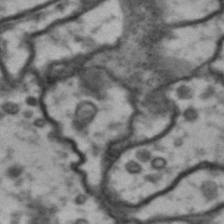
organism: Drosophila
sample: Brain